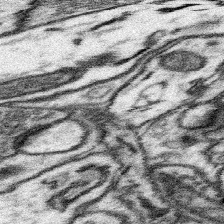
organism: Mouse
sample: Somatosensory cortex neuropil